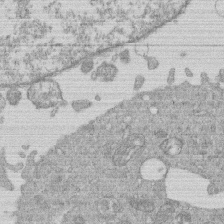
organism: Human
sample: Macrophage cells